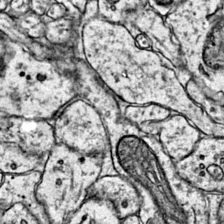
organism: Mouse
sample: Primary visual cortex